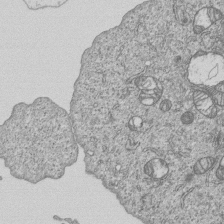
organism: Human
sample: MDA-MB-231 cells